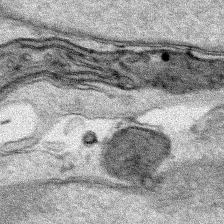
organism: Human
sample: Mitochondria in HCT116 cells